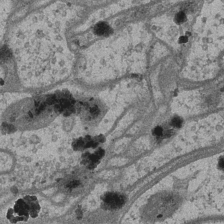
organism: Drosophila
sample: Optic medulla